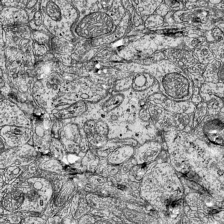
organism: Mouse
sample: Visual Cortex